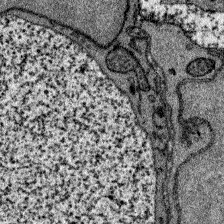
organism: Zebrafish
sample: Larval olfactory bulb